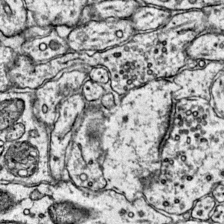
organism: Mouse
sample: Primary visual cortex